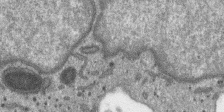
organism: Human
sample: Lung epithelial cells infected with SARS-CoV-2